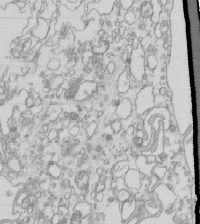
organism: Mouse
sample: Macrophages